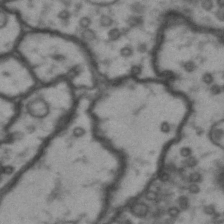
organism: Drosophila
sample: Brain